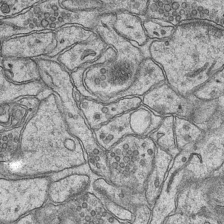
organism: Mouse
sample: CA1 Hippocampus